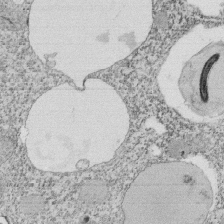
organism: Tetrahymena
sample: Cilia in tetrahymena